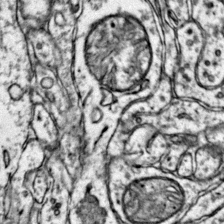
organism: Mouse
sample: Primary visual cortex